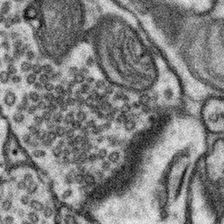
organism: Mouse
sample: Somatosensory cortex neuropil